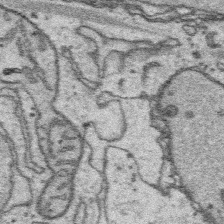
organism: Platynereis dumerilii